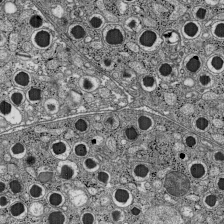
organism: C57BL Mouse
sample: Pancreatic islet